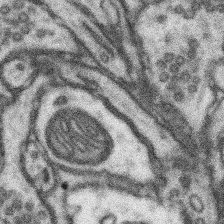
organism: Mouse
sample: Somatosensory cortex neuropil